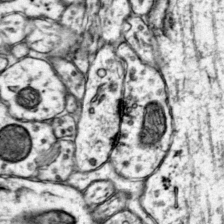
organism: Mouse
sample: Primary visual cortex